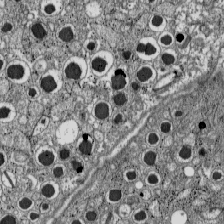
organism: C57BL Mouse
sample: Pancreatic islet